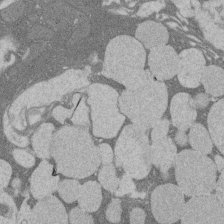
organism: Rat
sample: Salivary granule